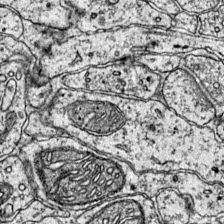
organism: Mouse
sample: Primary visual cortex